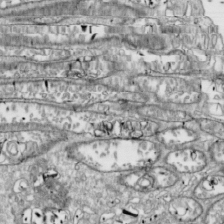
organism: Drosophila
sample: Cell division; meiosis; drosophila spermatocytes